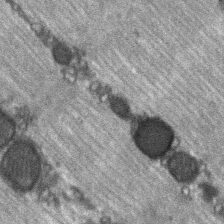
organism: C57BL Mouse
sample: Soleus